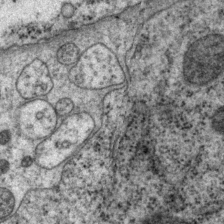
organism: P. pacificus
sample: Pharynx